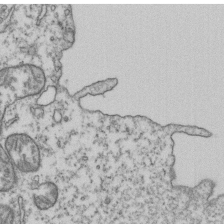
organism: Human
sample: Activated Jurkat CD4+ T cells